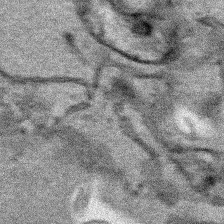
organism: Human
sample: Mitochondria in HCT116 cells